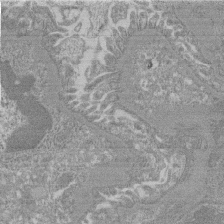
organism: Mouse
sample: Glomerulus